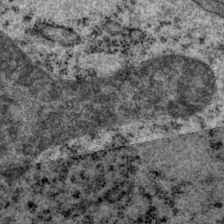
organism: P. pacificus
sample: Pharynx